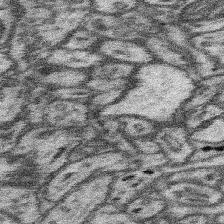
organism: Mouse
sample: Somatosensory cortex neuropil